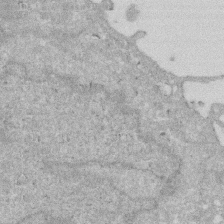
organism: Human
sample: HIV infected U937 cells